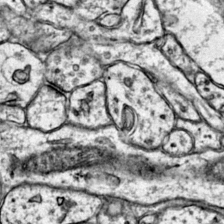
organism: Mouse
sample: Primary visual cortex